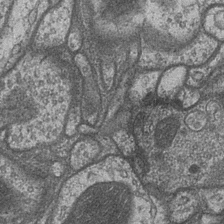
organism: Drosophila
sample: Optic medulla